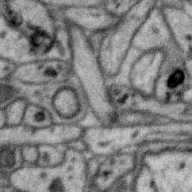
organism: Zebra finch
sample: Brain